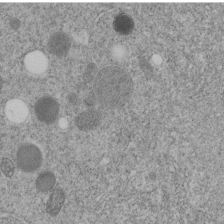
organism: C. elegans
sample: C. elegans embryo early stage